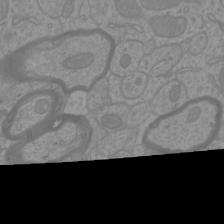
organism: Mouse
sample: Cortical neurons